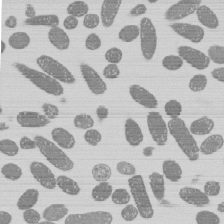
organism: E. coli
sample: Bacterial nucleoid